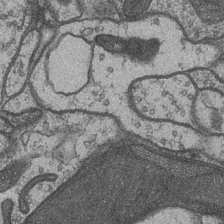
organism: Drosophila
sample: Optic medulla